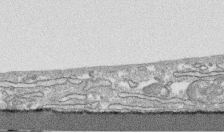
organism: Human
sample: CRL-1474